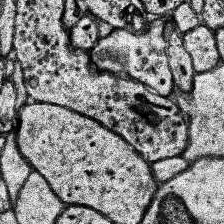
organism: Human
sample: Temporal Lobe